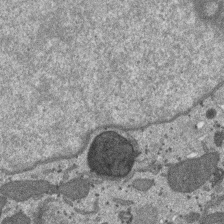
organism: Human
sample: Lung epithelial cells infected with SARS-CoV-2